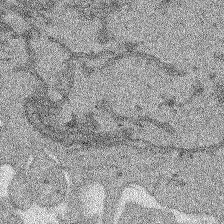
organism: Human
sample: HeLa cells